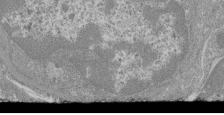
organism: Mouse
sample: Glomerulus